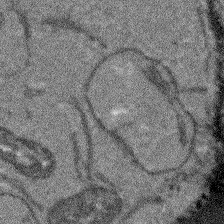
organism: Arabidopsis thaliana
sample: Root tip